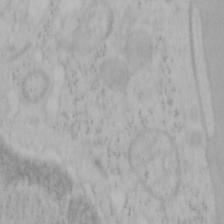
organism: Mouse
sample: OT-I killer T cells with ID8 ovarian cancer cells